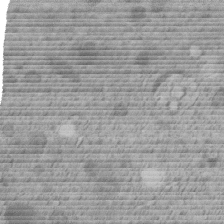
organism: C. elegans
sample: C. elegans embryo early stage